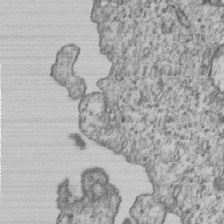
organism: Human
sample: MDA-MB-231 cells